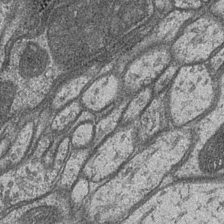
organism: Drosophila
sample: Optic medulla